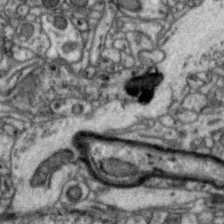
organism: Zebra finch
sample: Brain